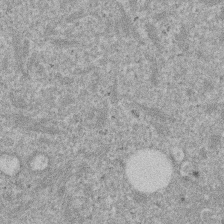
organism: Mouse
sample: Dividing mouse embryo 1 cell stage